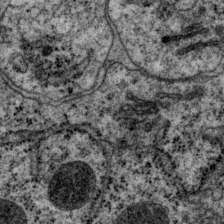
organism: P. pacificus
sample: Pharynx